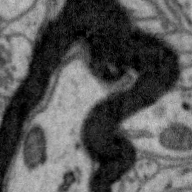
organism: Zebra finch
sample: Brain